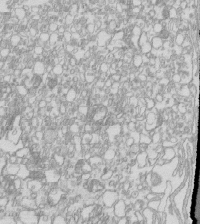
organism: Mouse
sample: Macrophages